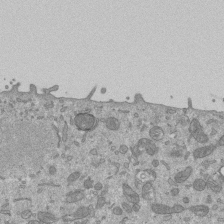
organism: Mouse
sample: ED-1 cell nuclei; centrioles